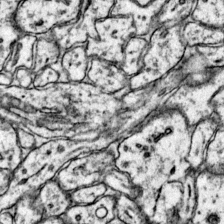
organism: Mouse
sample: Primary visual cortex